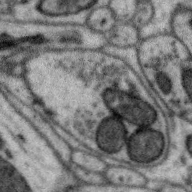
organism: Zebra finch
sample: Brain